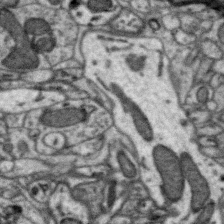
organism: Zebra finch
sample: Brain